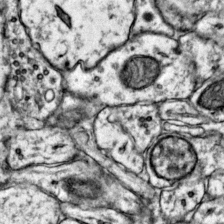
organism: Mouse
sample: Primary visual cortex